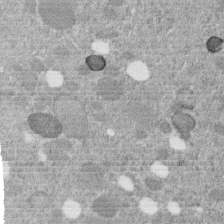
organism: C. elegans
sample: C. elegans embryo early stage